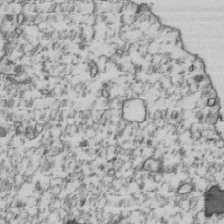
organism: Human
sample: Activated Jurkat CD4+ T cells